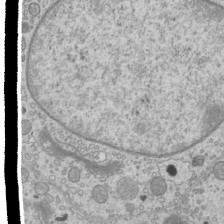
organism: Mouse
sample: Cilia; mouse epididymis